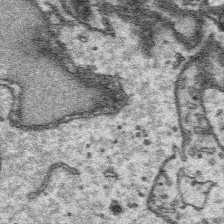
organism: Platynereis dumerilii